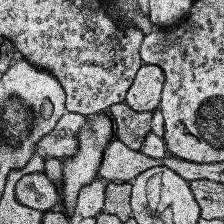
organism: Human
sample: Temporal Lobe